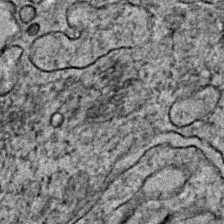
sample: Trachea